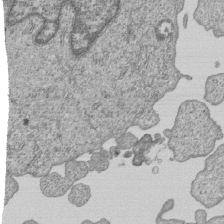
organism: Human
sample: MDA-MB-231 cells